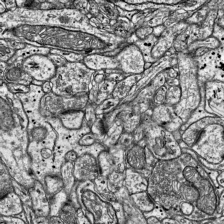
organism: Mouse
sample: Visual Cortex